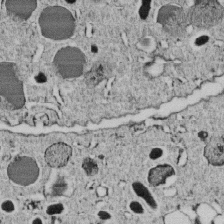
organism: C. elegans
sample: C. elegans embryo early stage